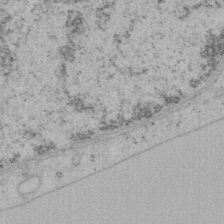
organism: Human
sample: HeLa cells